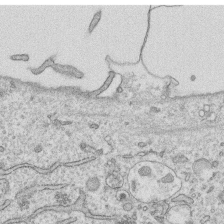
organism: Human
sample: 1205lu cells